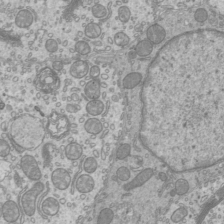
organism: Mouse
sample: Cilia; mouse epididymis